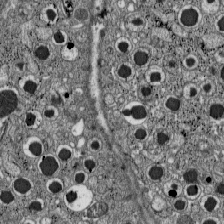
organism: C57BL Mouse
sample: Pancreatic islet